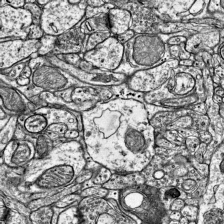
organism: Mouse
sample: Visual Cortex